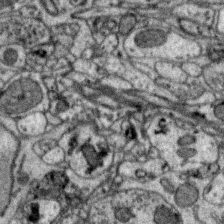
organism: Zebra finch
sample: Brain